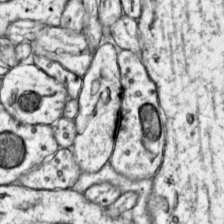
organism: Mouse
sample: Primary visual cortex